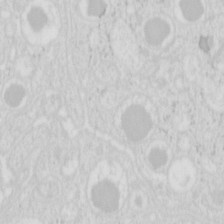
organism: Mouse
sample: Pancreas